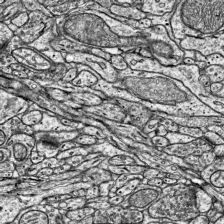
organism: Mouse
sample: Visual Cortex